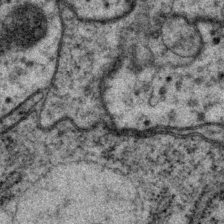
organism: P. pacificus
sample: Pharynx